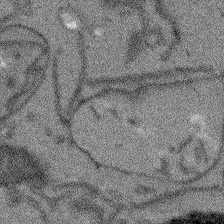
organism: Arabidopsis thaliana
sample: Root tip